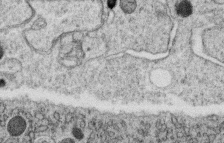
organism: C. elegans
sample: C. elegans oocyte; sperm cells